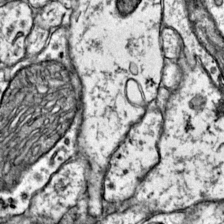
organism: Mouse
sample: Primary visual cortex